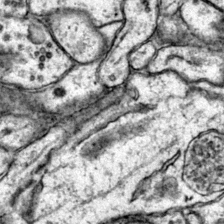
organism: Mouse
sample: Primary visual cortex